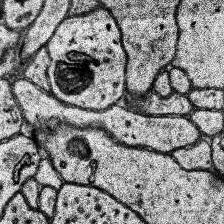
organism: Human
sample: Temporal Lobe